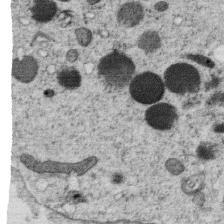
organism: C. elegans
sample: C. elegans oocyte; sperm cells